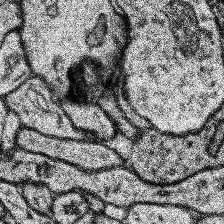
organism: Human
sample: Temporal Lobe